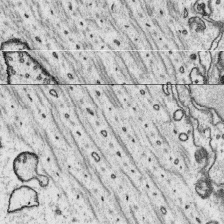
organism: Platynereis dumerilii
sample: Parapodia